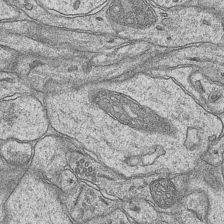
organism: Mouse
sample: CA1 Hippocampus